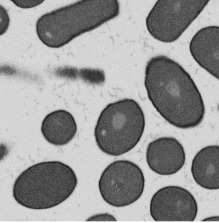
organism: B. subtilis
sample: Bacterial spore